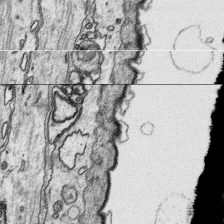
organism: Platynereis dumerilii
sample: Parapodia